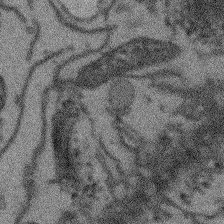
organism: Arabidopsis thaliana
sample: Root tip